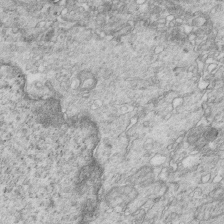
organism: Mouse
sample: Multiciliated cells